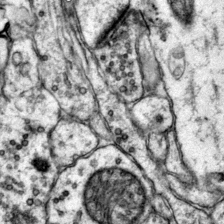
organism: Mouse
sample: Primary visual cortex